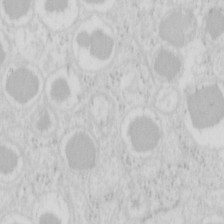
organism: Mouse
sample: Pancreas